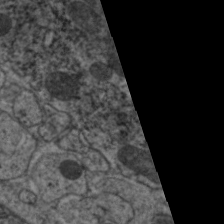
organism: C. elegans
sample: Pharynx